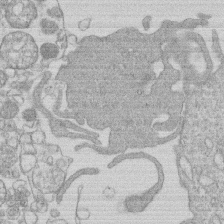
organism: Human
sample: Macrophage cells